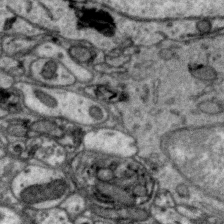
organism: Zebra finch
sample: Brain